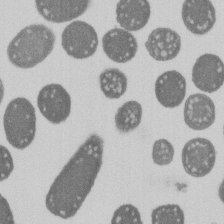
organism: E. coli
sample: Bacterial nucleoid